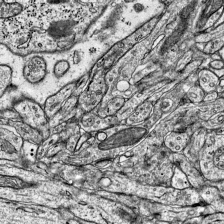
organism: Mouse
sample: Visual Cortex